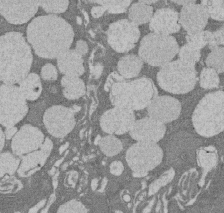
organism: Rat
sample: Salivary granule